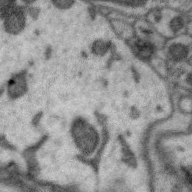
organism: Zebra finch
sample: Brain